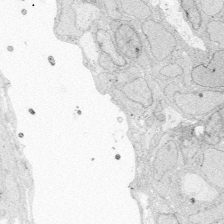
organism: Zebrafish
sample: Whole-Brain